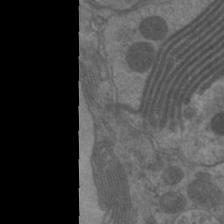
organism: C. elegans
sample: Pharynx